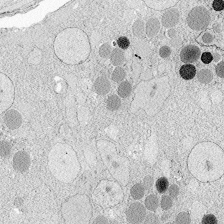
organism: Zebrafish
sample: Whole-Brain